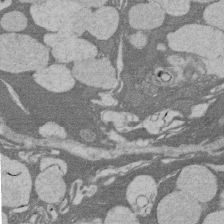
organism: Rat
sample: Salivary granule